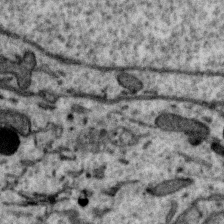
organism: Zebra finch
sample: Brain